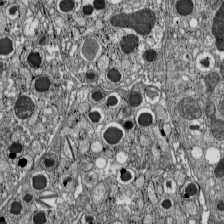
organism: C57BL Mouse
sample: Pancreatic islet